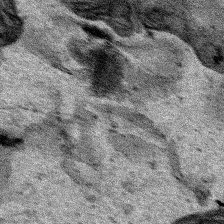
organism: Human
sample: Mitochondria in HCT116 cells